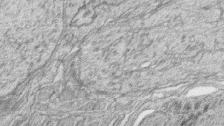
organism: Zebrafish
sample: synaptic ribbons in rod cells and cone cells